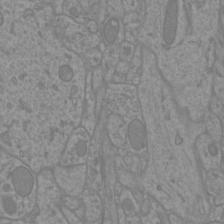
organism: Mouse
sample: Cortical neurons